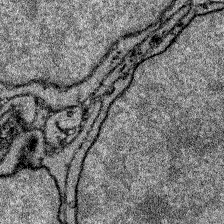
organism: Zebrafish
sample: Larval olfactory bulb